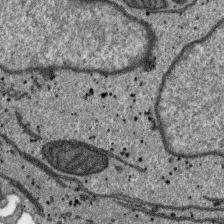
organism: Human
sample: Lung epithelial cells, uninfected (mock) control